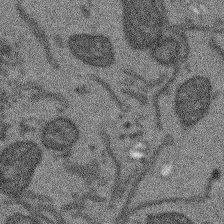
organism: Arabidopsis thaliana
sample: Root tip